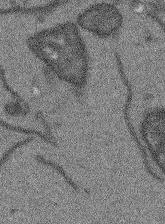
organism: Arabidopsis thaliana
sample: Root tip